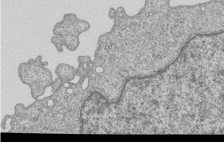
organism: Human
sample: MDA-MB-231 cells